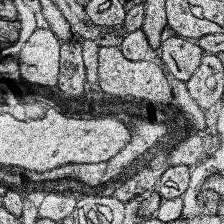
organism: Human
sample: Temporal Lobe